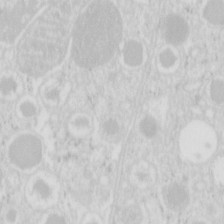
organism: Mouse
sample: Pancreas